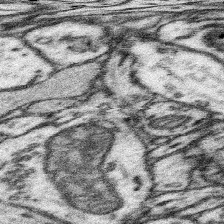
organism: Mouse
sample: Somatosensory cortex neuropil